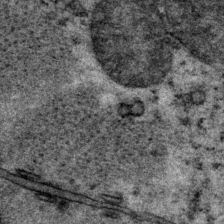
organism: P. pacificus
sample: Pharynx